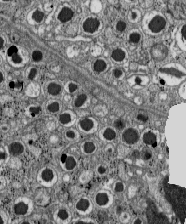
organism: C57BL Mouse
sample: Pancreatic islet